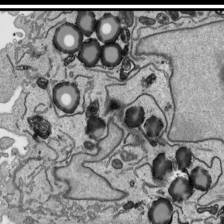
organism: Human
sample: Mitochondria in HCT116 cells